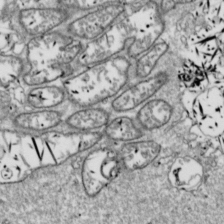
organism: Drosophila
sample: Cell division; meiosis; drosophila spermatocytes